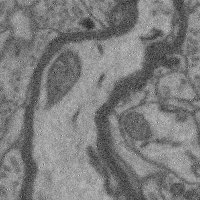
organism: Mouse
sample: Cerebral cortex